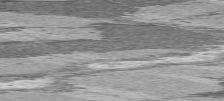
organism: C57BL Mouse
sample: Heart